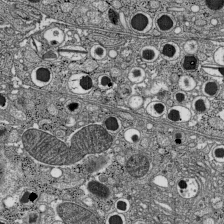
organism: C57BL Mouse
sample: Pancreatic islet